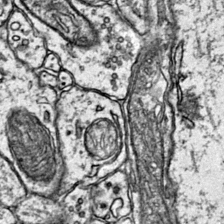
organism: Mouse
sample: Primary visual cortex